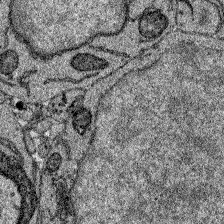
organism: Zebrafish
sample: Larval olfactory bulb